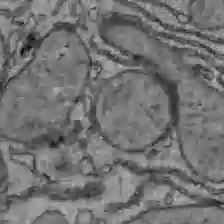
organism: C57BL Mouse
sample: Liver